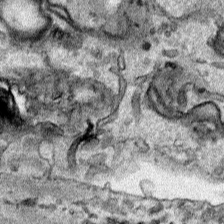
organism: Human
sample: Mitochondria in HCT116 cells